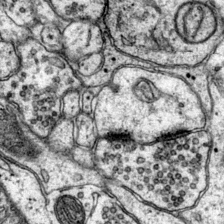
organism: Mouse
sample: Primary visual cortex